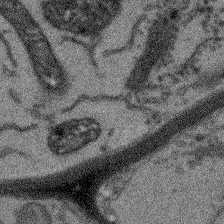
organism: Arabidopsis thaliana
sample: Root tip